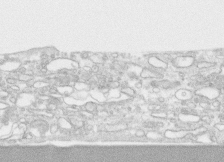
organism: Human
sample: CRL-1474